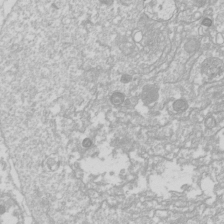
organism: Drosophila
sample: Cell division; meiosis; drosophila spermatocytes